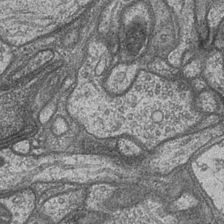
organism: Drosophila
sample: Optic medulla